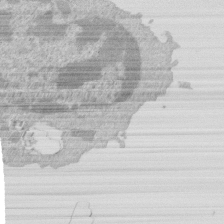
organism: Mouse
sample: Activated Pmel transgenic CD8+ T Cells